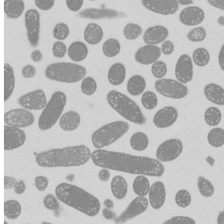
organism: E. coli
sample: Bacterial nucleoid